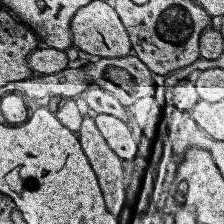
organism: Human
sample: Temporal Lobe